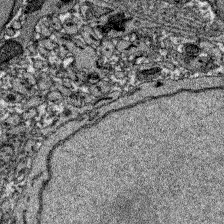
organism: Zebrafish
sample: Larval olfactory bulb